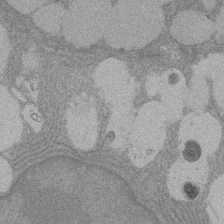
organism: Rat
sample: Salivary granule